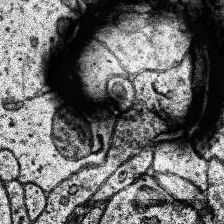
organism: Human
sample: Temporal Lobe